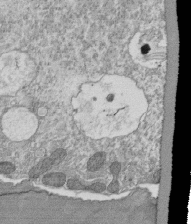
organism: Tetrahymena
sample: Cilia in tetrahymena